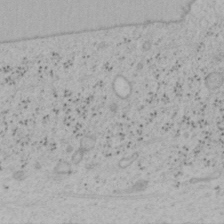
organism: Human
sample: HeLa cells